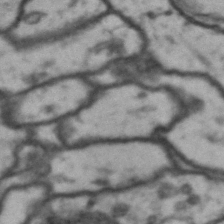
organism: Drosophila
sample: Brain